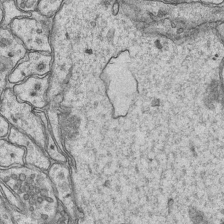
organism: Mouse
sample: CA1 Hippocampus